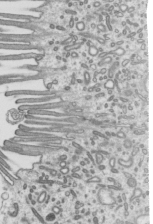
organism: Mouse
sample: Mouse epididymis efferent ductule cilia